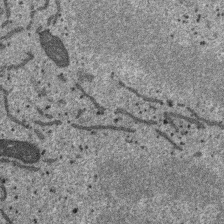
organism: Human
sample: Lung epithelial cells infected with SARS-CoV-2